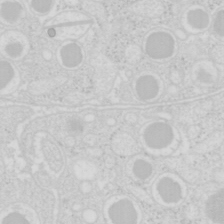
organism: Mouse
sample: Pancreas